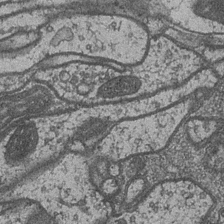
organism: Drosophila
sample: Optic medulla